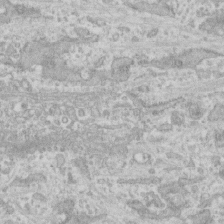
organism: Human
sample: CRL-1474